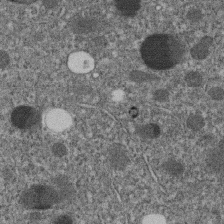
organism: C. elegans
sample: C. elegans embryo early stage